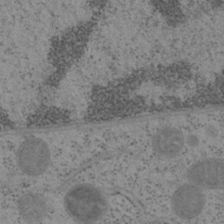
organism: Mouse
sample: OT-I killer T cells with ID8 ovarian cancer cells